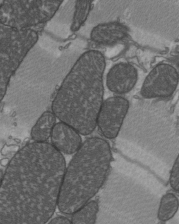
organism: C57BL Mouse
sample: Heart